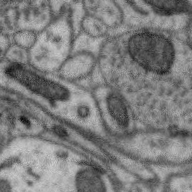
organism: Zebra finch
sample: Brain